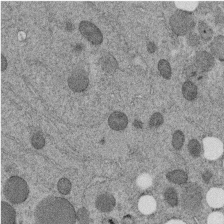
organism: C. elegans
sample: C. elegans embryo early stage